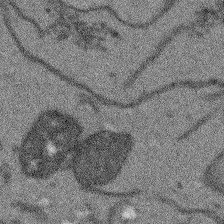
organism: Arabidopsis thaliana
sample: Root tip